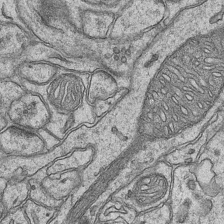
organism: Mouse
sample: CA1 Hippocampus